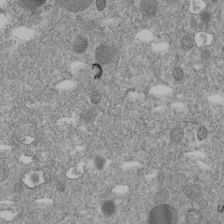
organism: C. elegans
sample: C. elegans embryo early stage